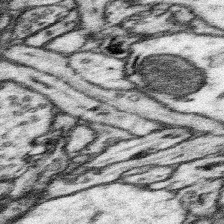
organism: Mouse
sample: Somatosensory cortex neuropil